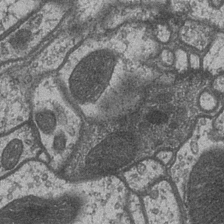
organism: Drosophila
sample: Optic medulla